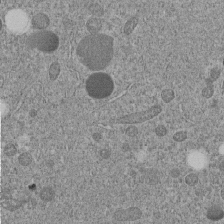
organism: C. elegans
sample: C. elegans embryo early stage